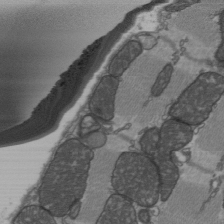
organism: C57BL Mouse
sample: Heart